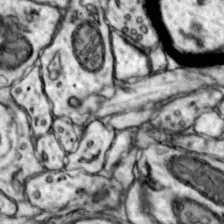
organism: Mouse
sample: Nucleus accumbens